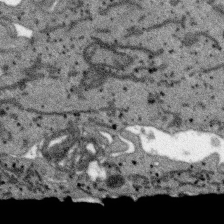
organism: Human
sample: Lung epithelial cells, uninfected (mock) control